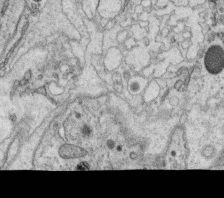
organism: C. elegans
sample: C. elegans oocyte; sperm cells